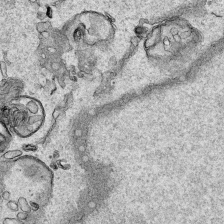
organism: Human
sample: Mitochondria in HCT116 cells